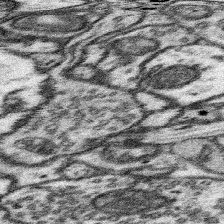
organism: Mouse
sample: Somatosensory cortex neuropil